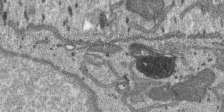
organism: Human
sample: Lung epithelial cells infected with SARS-CoV-2